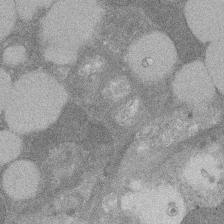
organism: Rat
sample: Salivary granule